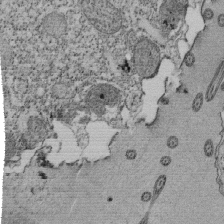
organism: Tetrahymena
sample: Cilia in tetrahymena